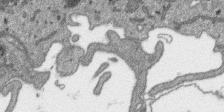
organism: Human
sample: Lung epithelial cells infected with SARS-CoV-2